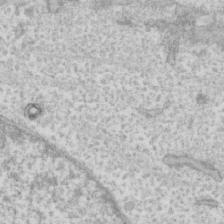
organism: Human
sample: Fibroblast cells